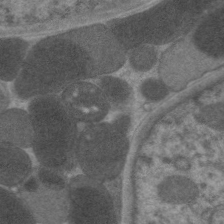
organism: C. elegans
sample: Pharynx